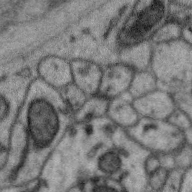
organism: Zebra finch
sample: Brain